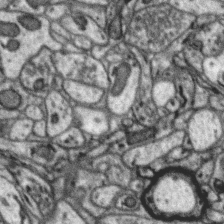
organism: Zebra finch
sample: Brain